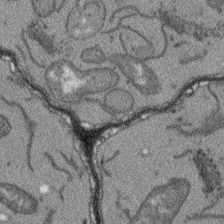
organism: Arabidopsis thaliana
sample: Root tip